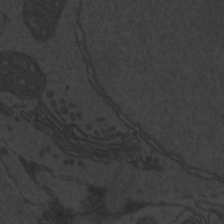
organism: Zebrafish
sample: Macrophage infected with Toxoplasma gondii